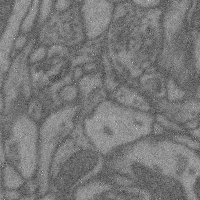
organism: Mouse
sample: Cerebral cortex